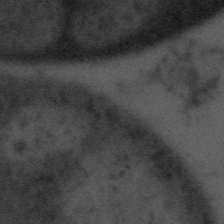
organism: Tuwongella immobilis